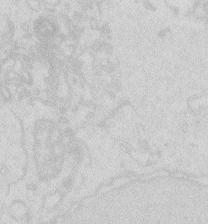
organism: Zebrafish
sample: Macrophage